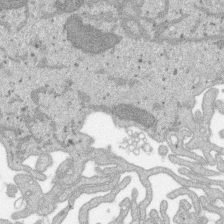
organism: Human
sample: Lung epithelial cells infected with SARS-CoV-2